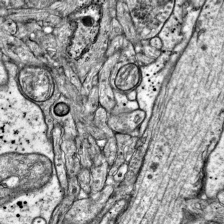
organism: Mouse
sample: Visual Cortex